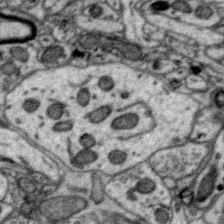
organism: Zebra finch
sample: Brain